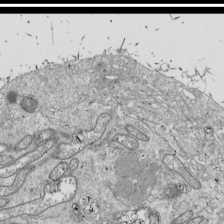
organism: Drosophila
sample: Cell division; meiosis; drosophila spermatocytes